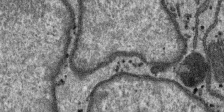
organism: Human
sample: Lung epithelial cells, uninfected (mock) control